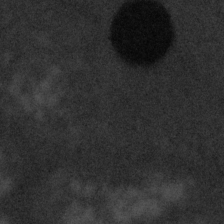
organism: Tuwongella immobilis